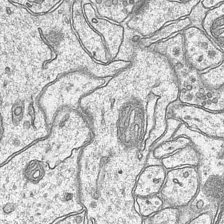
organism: Mouse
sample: CA1 Hippocampus